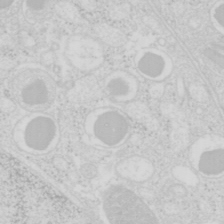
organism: Mouse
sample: Pancreas